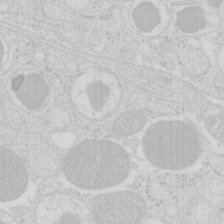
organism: Mouse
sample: Pancreas